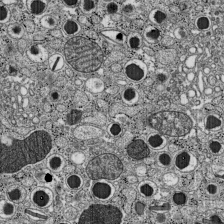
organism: C57BL Mouse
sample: Pancreatic islet